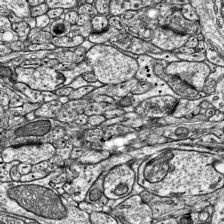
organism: Mouse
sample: Visual Cortex